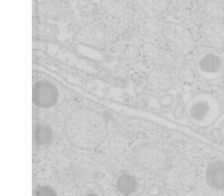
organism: Mouse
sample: Pancreas